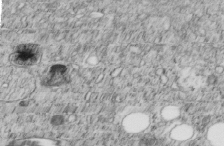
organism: C. elegans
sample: C. elegans embryo early stage